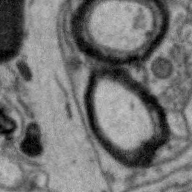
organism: Zebra finch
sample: Brain